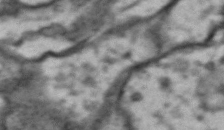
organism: Drosophila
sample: Brain